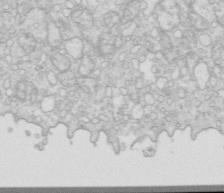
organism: Mouse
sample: Multiciliated cells